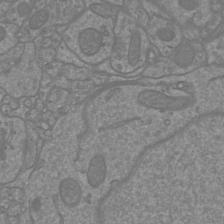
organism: Mouse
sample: Cortical neurons